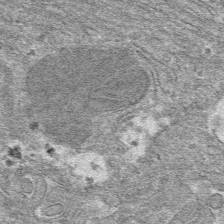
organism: Mouse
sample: Mouse hepatocytes